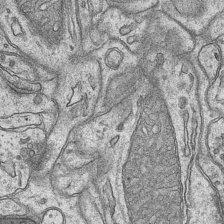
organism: Mouse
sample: CA1 Hippocampus